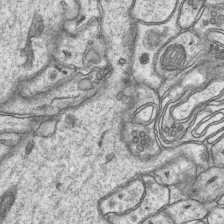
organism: Mouse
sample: CA1 Hippocampus